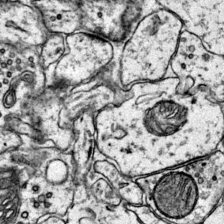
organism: Mouse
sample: Primary visual cortex